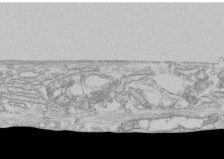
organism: Human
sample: CRL-1474